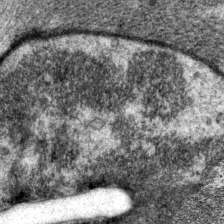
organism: P. pacificus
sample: Pharynx